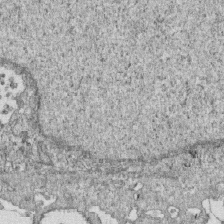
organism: Human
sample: HeLa cell HIV synapse